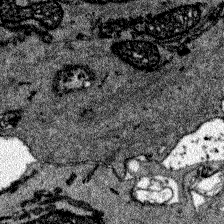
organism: Zebrafish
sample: Larval olfactory bulb